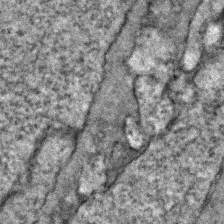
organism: Zebrafish